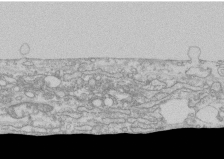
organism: Human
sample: CRL-1474